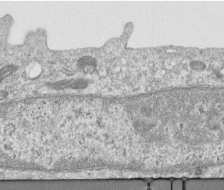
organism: Human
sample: Centriole in RPE cells